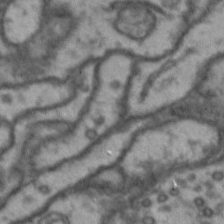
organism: Drosophila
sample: Brain